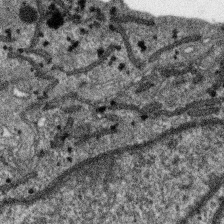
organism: Human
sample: Lung epithelial cells infected with SARS-CoV-2